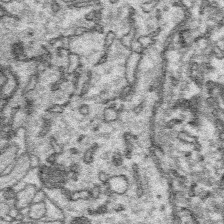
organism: Platynereis dumerilii